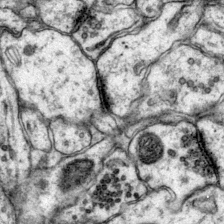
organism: Mouse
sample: Primary visual cortex